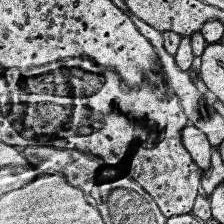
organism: Human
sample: Temporal Lobe